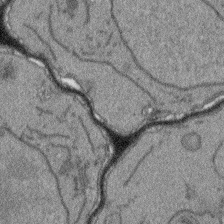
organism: Arabidopsis thaliana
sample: Root tip